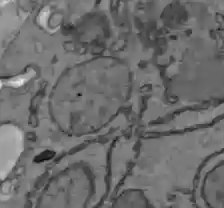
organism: C57BL Mouse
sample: Liver